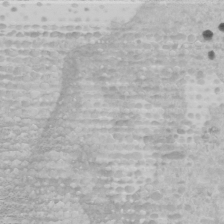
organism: Human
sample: Mitochondria in U2OS cells